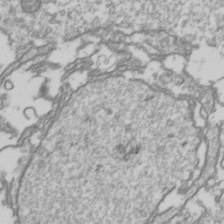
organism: Drosophila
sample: Cell division; meiosis; drosophila spermatocytes